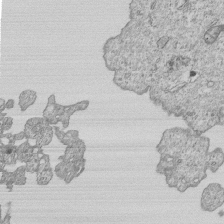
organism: Human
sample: MDA-MB-231 cells